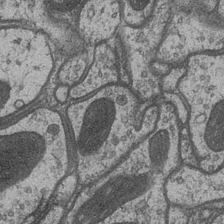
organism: Drosophila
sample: Optic medulla